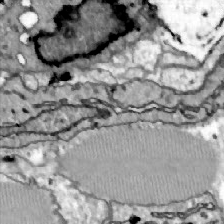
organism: Zebrafish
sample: Actinotrichia fibers